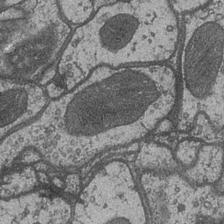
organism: Drosophila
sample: Optic medulla